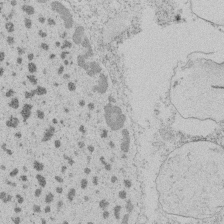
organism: Tetrahymena